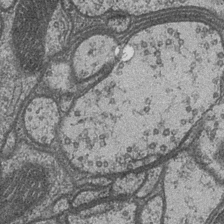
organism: Drosophila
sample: Optic medulla